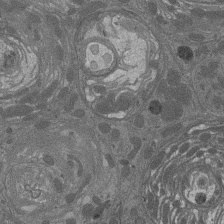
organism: Drosophila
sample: Antenna